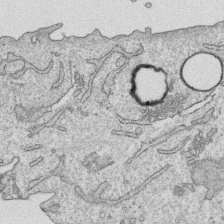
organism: Human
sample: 1205lu cells